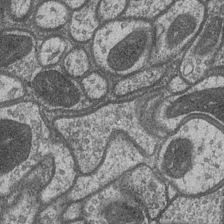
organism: Drosophila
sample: Optic medulla